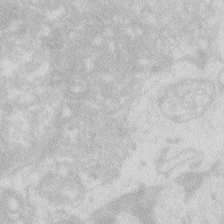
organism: Zebrafish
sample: Macrophage